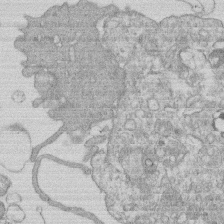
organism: Human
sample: Macrophage cells